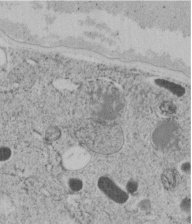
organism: C. elegans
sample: C. elegans embryo early stage